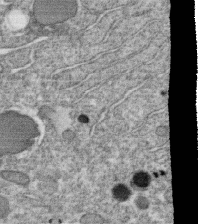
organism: C. elegans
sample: C. elegans oocyte; sperm cells